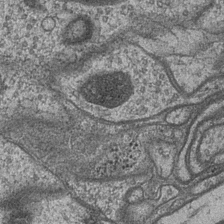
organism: Drosophila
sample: Optic medulla